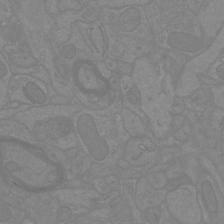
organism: Mouse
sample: Cortical neurons